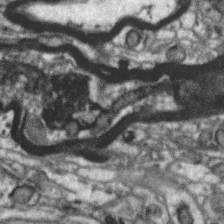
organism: Zebra finch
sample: Brain